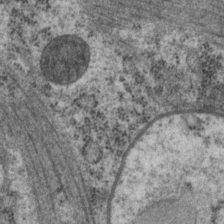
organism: P. pacificus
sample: Pharynx